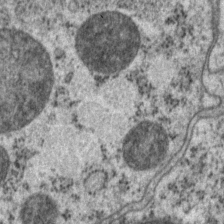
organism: P. pacificus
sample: Pharynx